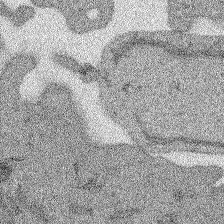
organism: Human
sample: HeLa cells